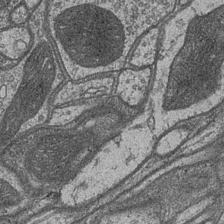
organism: Drosophila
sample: Optic medulla